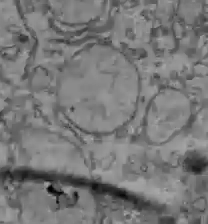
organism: C57BL Mouse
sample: Liver